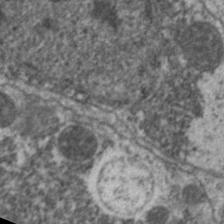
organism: C. elegans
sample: Pharynx